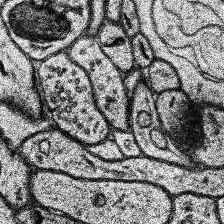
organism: Human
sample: Temporal Lobe